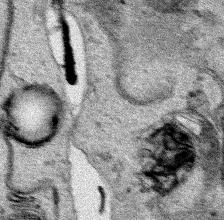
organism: Human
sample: Mitochondria in HCT116 cells